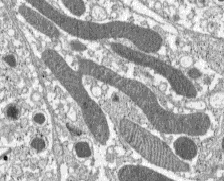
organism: C57BL Mouse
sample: Pancreatic islet